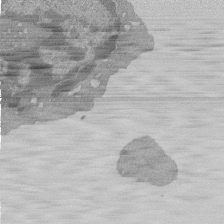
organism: Mouse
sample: Activated Pmel transgenic CD8+ T Cells